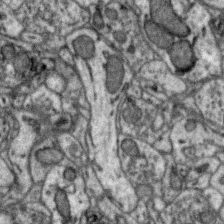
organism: Zebra finch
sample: Brain